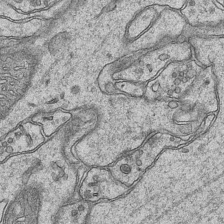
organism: Mouse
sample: CA1 Hippocampus